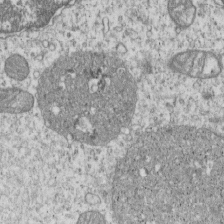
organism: Human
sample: MDA-MB-231 cells